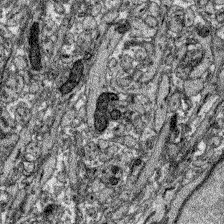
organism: Zebrafish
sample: Larval olfactory bulb